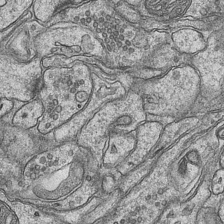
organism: Mouse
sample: CA1 Hippocampus